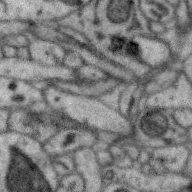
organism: Zebra finch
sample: Brain